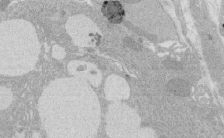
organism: Rat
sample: Salivary granule